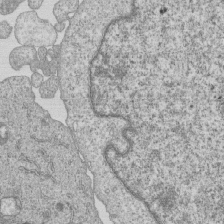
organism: Human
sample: MDA-MB-231 cells